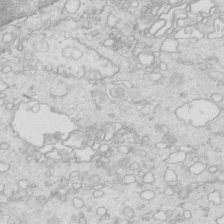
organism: Mouse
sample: Multiciliated cells